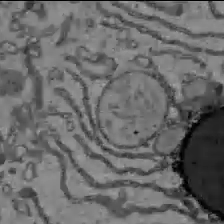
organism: C57BL Mouse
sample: Liver